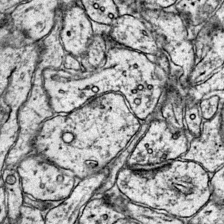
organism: Mouse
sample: Primary visual cortex